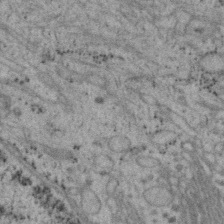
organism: Human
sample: HeLa cells